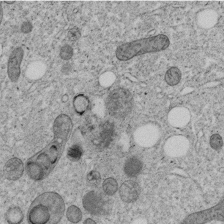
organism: C. elegans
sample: C. elegans embryo early stage